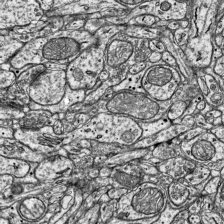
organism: Mouse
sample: Visual Cortex